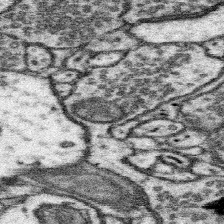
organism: Mouse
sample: Somatosensory cortex neuropil